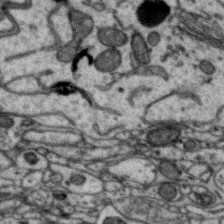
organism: Zebra finch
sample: Brain